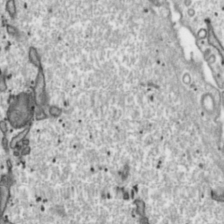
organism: Toxoplasma gondii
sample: Parasites in a vacuole inside a host cell